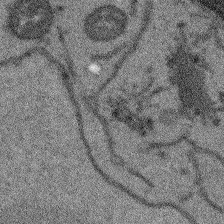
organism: Arabidopsis thaliana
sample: Root tip